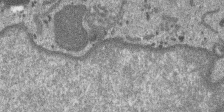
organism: Human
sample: Lung epithelial cells infected with SARS-CoV-2